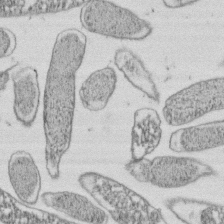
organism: E. coli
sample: Bacterial nucleoid